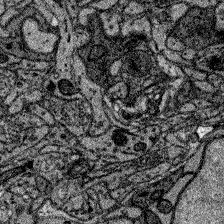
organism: Zebrafish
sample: Larval olfactory bulb